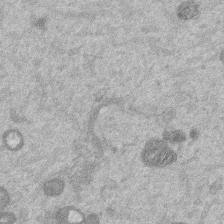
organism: Mouse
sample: Dividing mouse embryo 1 cell stage